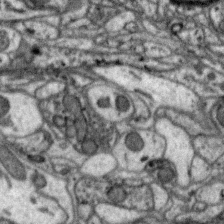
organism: Zebra finch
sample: Brain